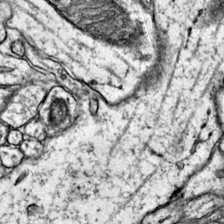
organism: Mouse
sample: Primary visual cortex